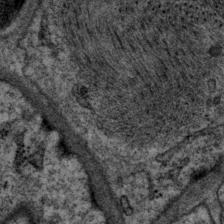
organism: P. pacificus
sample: Pharynx